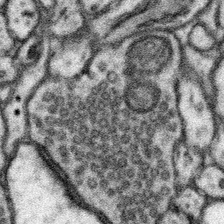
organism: Mouse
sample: Somatosensory cortex neuropil